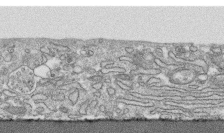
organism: Human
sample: CRL-1474